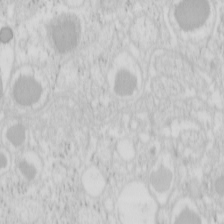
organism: Mouse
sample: Pancreas